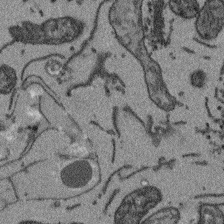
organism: Arabidopsis thaliana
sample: Root tip